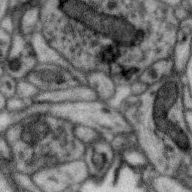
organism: Zebra finch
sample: Brain